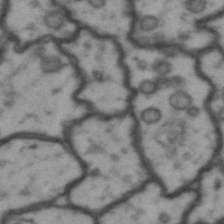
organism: Drosophila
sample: Brain